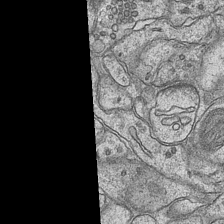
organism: Mouse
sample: CA1 Hippocampus